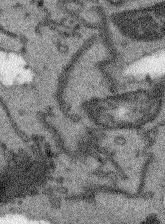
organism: Arabidopsis thaliana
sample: Root tip